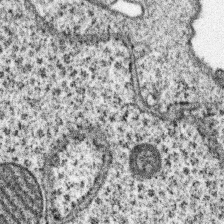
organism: Human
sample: HeLa cells